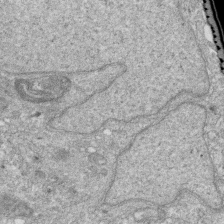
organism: Human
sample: HeLa cell HIV synapse